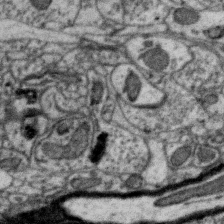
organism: Zebra finch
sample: Brain